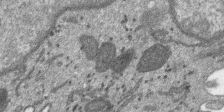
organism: Human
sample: Lung epithelial cells infected with SARS-CoV-2